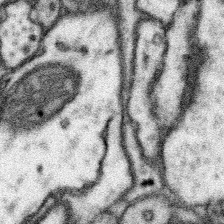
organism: Mouse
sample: Somatosensory cortex neuropil